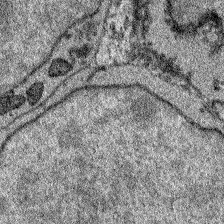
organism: Zebrafish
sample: Larval olfactory bulb